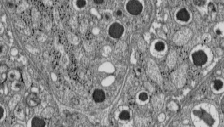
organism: C57BL Mouse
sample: Pancreatic islet